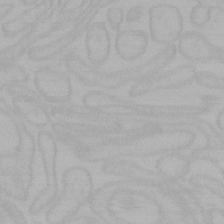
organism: Mouse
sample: Choroid plexus